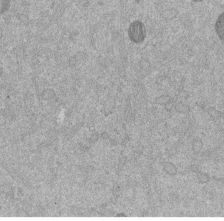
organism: Mouse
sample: Dividing mouse embryo 1 cell stage